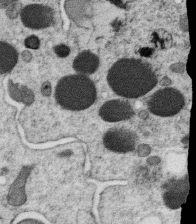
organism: C. elegans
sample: C. elegans oocyte; sperm cells